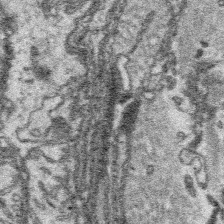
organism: Platynereis dumerilii